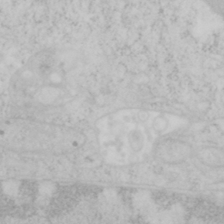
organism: Mouse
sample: OT-I killer T cells with ID8 ovarian cancer cells